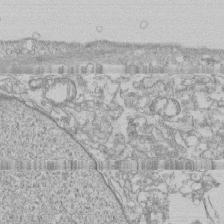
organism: Human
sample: CRL-1474